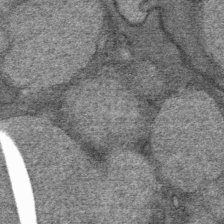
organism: Mouse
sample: Mouse Salivary gland